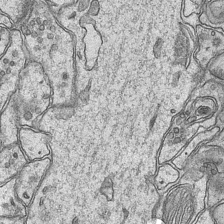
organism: Mouse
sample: CA1 Hippocampus